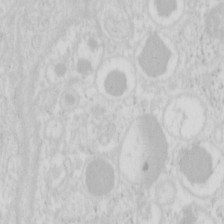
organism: Mouse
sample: Pancreas